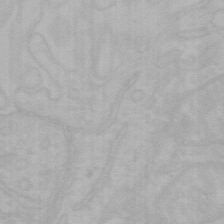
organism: Mouse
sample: Choroid plexus